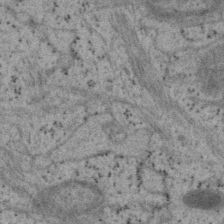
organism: Human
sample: HeLa cells